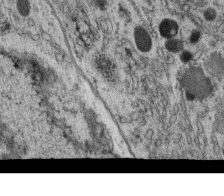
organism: C. elegans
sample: C. elegans oocyte; sperm cells